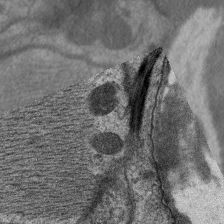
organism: C. elegans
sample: Pharynx